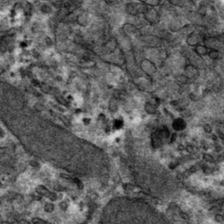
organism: Mouse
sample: Mouse hepatocytes